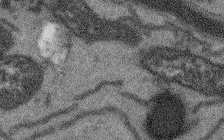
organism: Arabidopsis thaliana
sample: Root tip